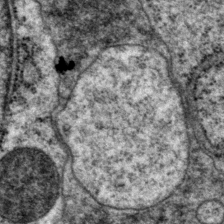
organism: P. pacificus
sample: Pharynx